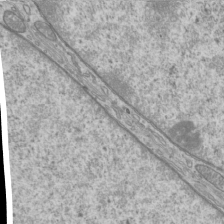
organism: Mouse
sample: Cilia; mouse epididymis